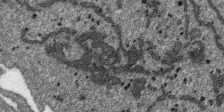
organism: Human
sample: Lung epithelial cells infected with SARS-CoV-2